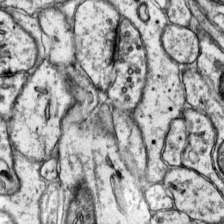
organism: Mouse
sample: Primary visual cortex